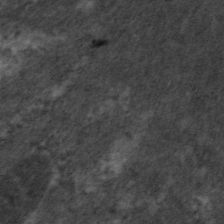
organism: C. elegans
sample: Pharynx